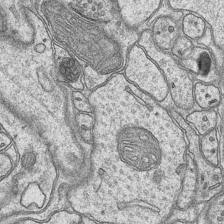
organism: Mouse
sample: CA1 Hippocampus